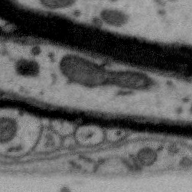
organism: Zebra finch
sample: Brain